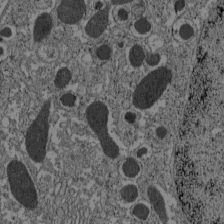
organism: C57BL Mouse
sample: Pancreatic islet